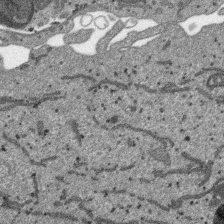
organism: Human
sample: Lung epithelial cells infected with SARS-CoV-2